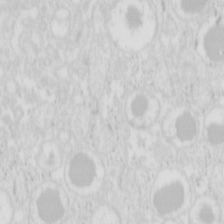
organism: Mouse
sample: Pancreas